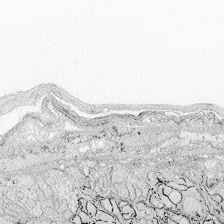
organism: Zebrafish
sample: Whole-Brain